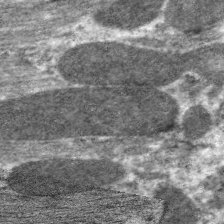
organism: C. elegans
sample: Pharynx